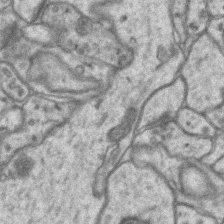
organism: Mouse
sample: CA1 Hippocampus